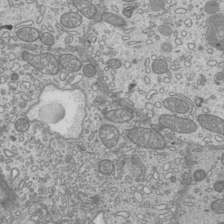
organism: Mouse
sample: Cilia; mouse epididymis